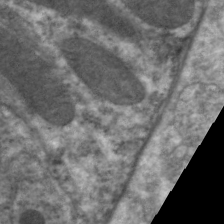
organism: C. elegans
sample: Pharynx